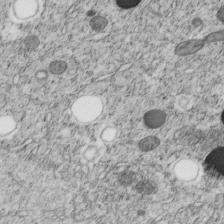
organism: C. elegans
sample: C. elegans embryo early stage